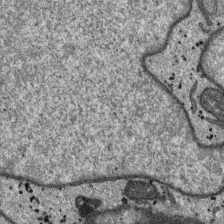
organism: Human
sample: Lung epithelial cells, uninfected (mock) control